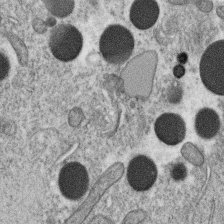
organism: C. elegans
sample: C. elegans oocyte; sperm cells